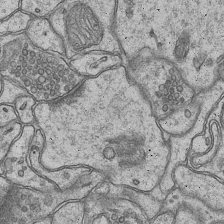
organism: Mouse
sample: CA1 Hippocampus